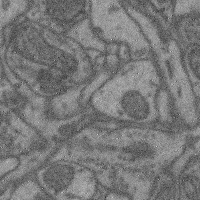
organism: Mouse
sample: Cerebral cortex